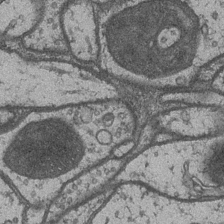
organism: Drosophila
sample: Optic medulla